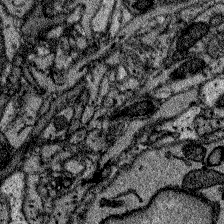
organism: Zebrafish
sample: Larval olfactory bulb